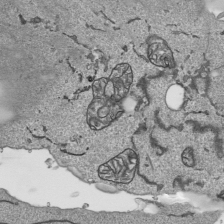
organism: Human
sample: Mitochondria in HCT116 cells